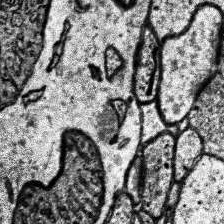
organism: Human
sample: Temporal Lobe